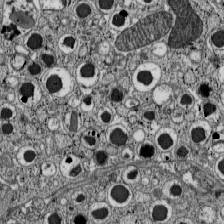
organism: C57BL Mouse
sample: Pancreatic islet